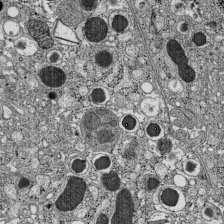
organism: C57BL Mouse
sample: Pancreatic islet